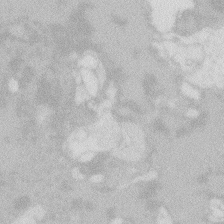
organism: Zebrafish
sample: Macrophage